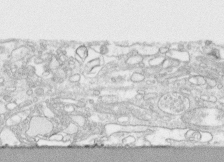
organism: Human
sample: CRL-1474